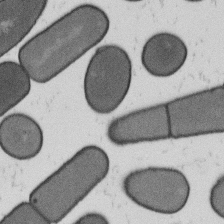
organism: B. subtilis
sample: Bacterial spore